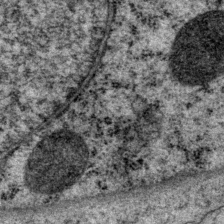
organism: P. pacificus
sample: Pharynx